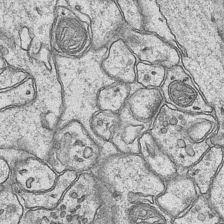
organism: Mouse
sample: CA1 Hippocampus